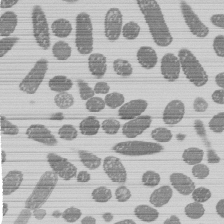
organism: E. coli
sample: Bacterial nucleoid